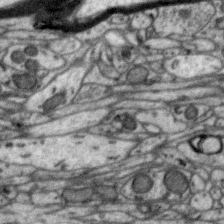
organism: Zebra finch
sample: Brain